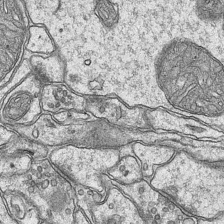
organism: Mouse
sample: CA1 Hippocampus